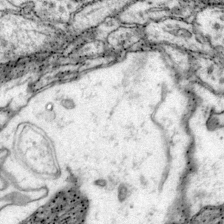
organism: Mouse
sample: Primary visual cortex